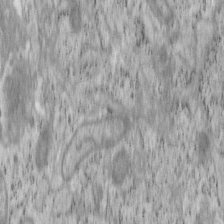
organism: Human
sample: HeLa cells